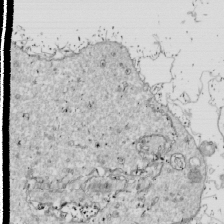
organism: Drosophila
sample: Cell division; meiosis; drosophila spermatocytes